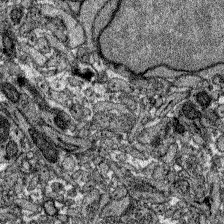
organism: Zebrafish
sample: Larval olfactory bulb